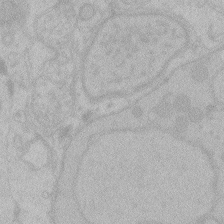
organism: Zebrafish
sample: Macrophage infected with Toxoplasma gondii